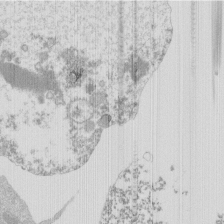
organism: Mouse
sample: Activated Pmel transgenic CD8+ T Cells